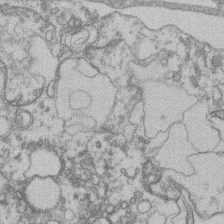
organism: Mouse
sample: T cell stromal cell synapse